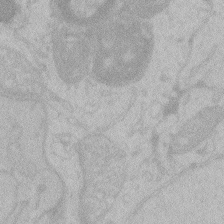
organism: Zebrafish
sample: Macrophage infected with Toxoplasma gondii